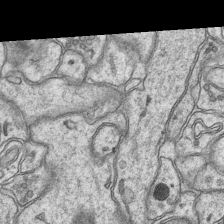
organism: Mouse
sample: CA1 Hippocampus